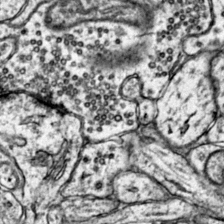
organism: Mouse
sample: Primary visual cortex